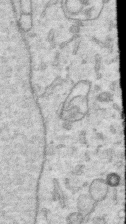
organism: Human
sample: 1205lu cells